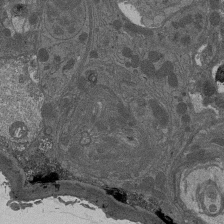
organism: Drosophila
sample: Antenna